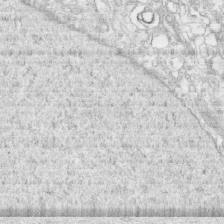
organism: Human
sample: CRL-1474